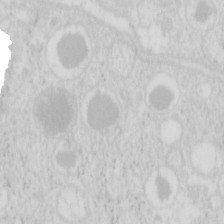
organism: Mouse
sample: Pancreas